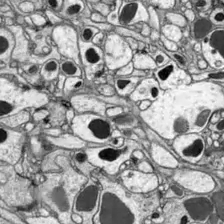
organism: Drosophila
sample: Optic lobe